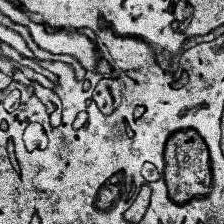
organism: Human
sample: Temporal Lobe